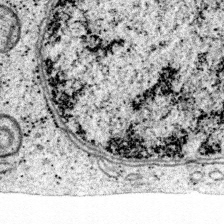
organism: Human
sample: HeLa cells